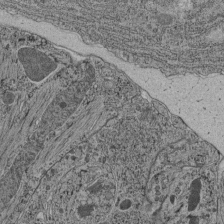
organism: C. elegans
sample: C. elegans pharynx